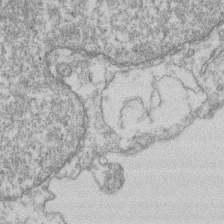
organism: Mouse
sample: T cell stromal cell synapse